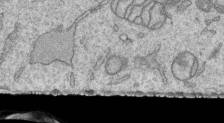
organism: Human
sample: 1205lu cells